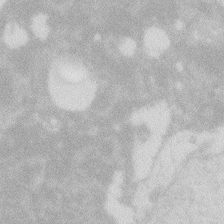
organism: Zebrafish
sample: Macrophage